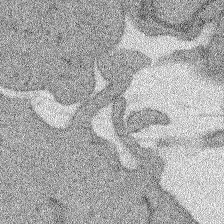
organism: Human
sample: HeLa cells